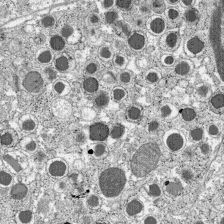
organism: C57BL Mouse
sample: Pancreatic islet